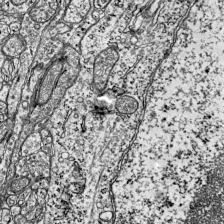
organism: Mouse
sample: Visual Cortex